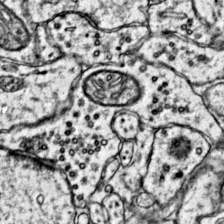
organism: Mouse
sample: Primary visual cortex